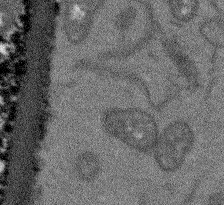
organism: Arabidopsis thaliana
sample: Root tip